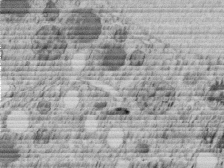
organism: C. elegans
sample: C. elegans embryo early stage